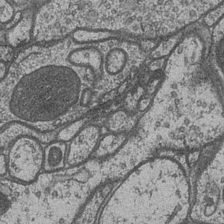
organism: Drosophila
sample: Optic medulla